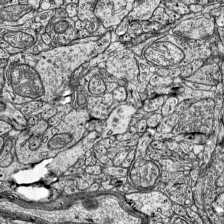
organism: Mouse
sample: Visual Cortex